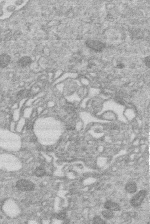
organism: Human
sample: Macrophage cells